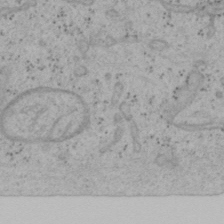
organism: Human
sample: HeLa cells